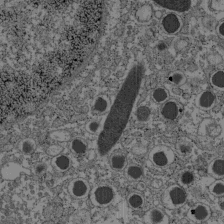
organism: C57BL Mouse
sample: Pancreatic islet